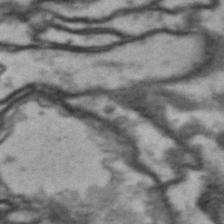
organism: Drosophila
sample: Brain